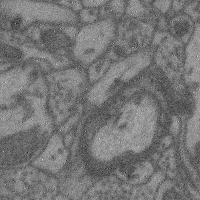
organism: Mouse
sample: Cerebral cortex